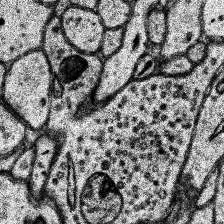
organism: Human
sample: Temporal Lobe